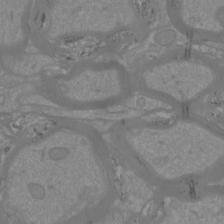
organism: Mouse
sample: Cortical neurons